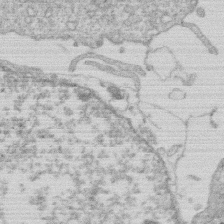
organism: Human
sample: Macrophage cells